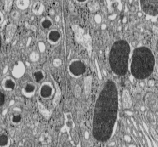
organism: C57BL Mouse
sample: Pancreatic islet